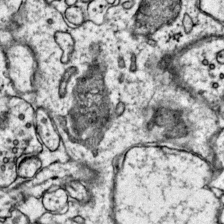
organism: Mouse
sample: Primary visual cortex